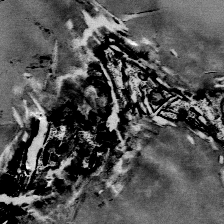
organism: Mouse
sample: Mouse Salivary gland